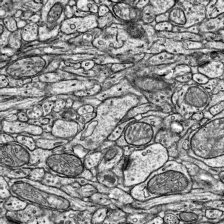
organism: Mouse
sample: Visual Cortex